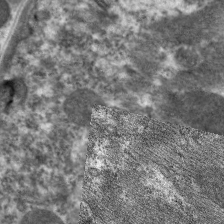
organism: C. elegans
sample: Pharynx